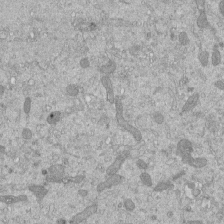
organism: Mouse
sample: ED-1 cell nuclei; centrioles